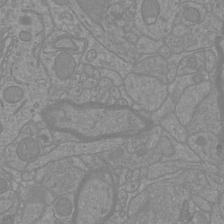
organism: Mouse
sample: Cortical neurons